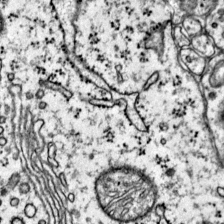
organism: Mouse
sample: Primary visual cortex